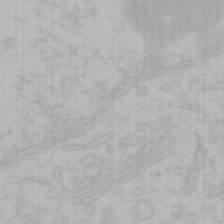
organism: Mouse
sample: Choroid plexus